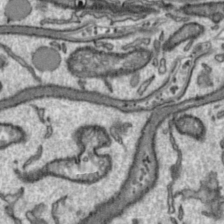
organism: Toxoplasma gondii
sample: Parasites in a vacuole inside a host cell